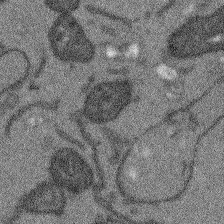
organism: Arabidopsis thaliana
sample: Root tip